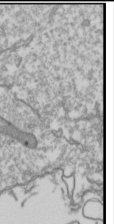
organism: Drosophila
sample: Cell division; meiosis; drosophila spermatocytes